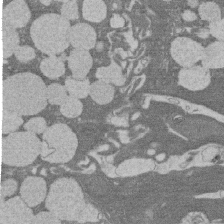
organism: Rat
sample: Salivary granule